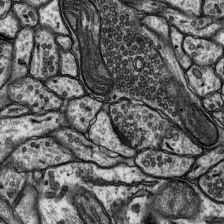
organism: Rat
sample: Hippocampus